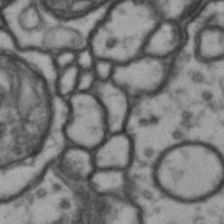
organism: Drosophila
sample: Brain